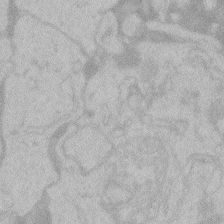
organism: Zebrafish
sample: Macrophage infected with Toxoplasma gondii